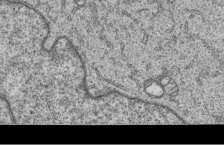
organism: Human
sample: MDA-MB-231 cells